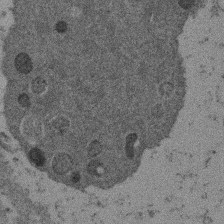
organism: Mouse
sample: Dividing mouse embryo 1 cell stage